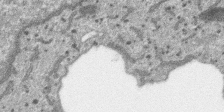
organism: Human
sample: Lung epithelial cells infected with SARS-CoV-2